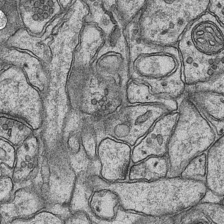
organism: Mouse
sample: CA1 Hippocampus